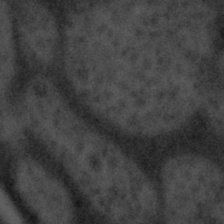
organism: Tuwongella immobilis